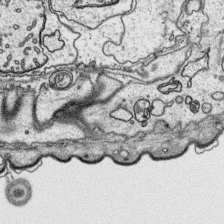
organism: Platynereis dumerilii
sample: Parapodia